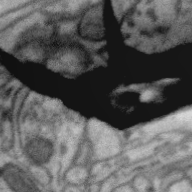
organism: Zebra finch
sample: Brain